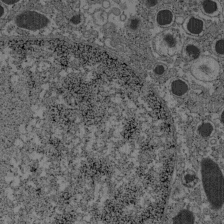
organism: C57BL Mouse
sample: Pancreatic islet